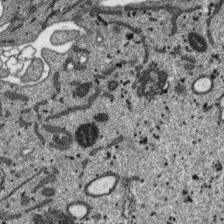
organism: Human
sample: Lung epithelial cells infected with SARS-CoV-2